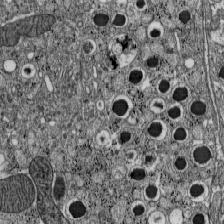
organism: C57BL Mouse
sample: Pancreatic islet